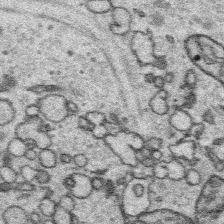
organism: Platynereis dumerilii